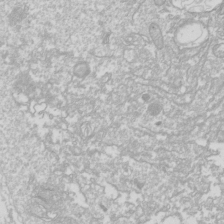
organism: Drosophila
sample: Cell division; meiosis; drosophila spermatocytes